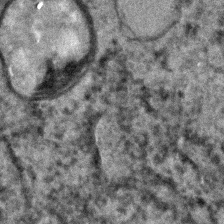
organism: C. elegans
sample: C. elegans embryo